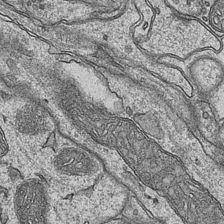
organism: Mouse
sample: CA1 Hippocampus